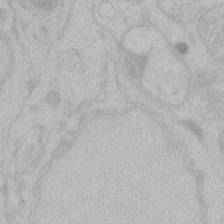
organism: Zebrafish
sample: Macrophage infected with Toxoplasma gondii